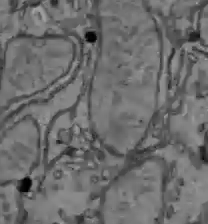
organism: C57BL Mouse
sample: Liver